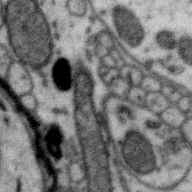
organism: Zebra finch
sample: Brain